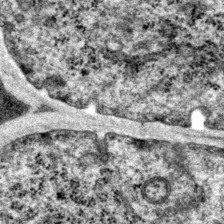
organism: P. pacificus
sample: Pharynx